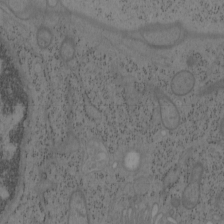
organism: Mouse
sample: OT-I killer T cells with ID8 ovarian cancer cells